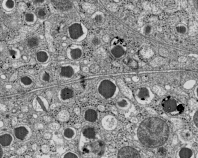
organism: C57BL Mouse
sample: Pancreatic islet